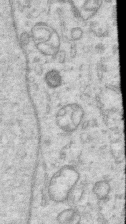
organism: Human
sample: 1205lu cells